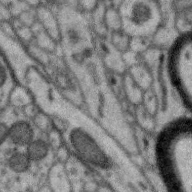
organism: Zebra finch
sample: Brain